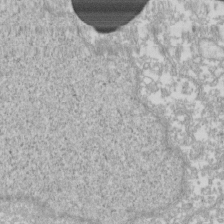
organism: Xenopus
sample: Cilia; centrioles in frog embryo cells